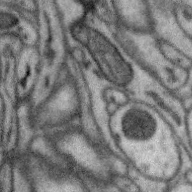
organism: Zebra finch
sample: Brain